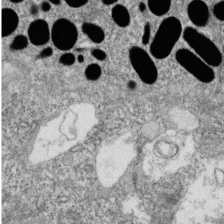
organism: Zebrafish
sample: Cilia; retinal pigment epithelium